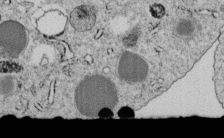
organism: C. elegans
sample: C. elegans embryo early stage